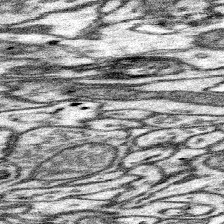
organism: Mouse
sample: Somatosensory cortex neuropil